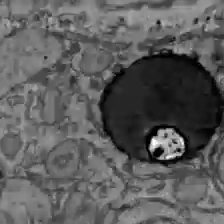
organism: C57BL Mouse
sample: Liver